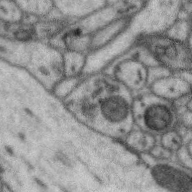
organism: Zebra finch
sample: Brain